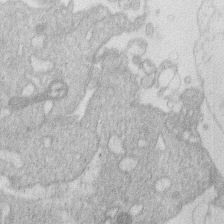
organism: Human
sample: Macrophage cells